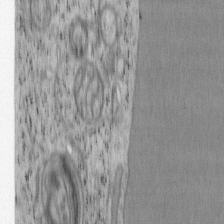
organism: Human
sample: HeLa cells